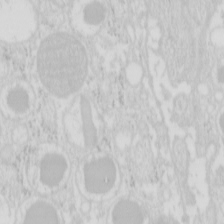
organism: Mouse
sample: Pancreas